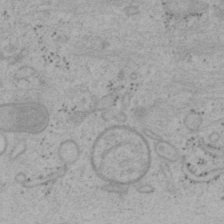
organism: Human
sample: HeLa cells